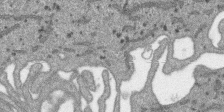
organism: Human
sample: Lung epithelial cells infected with SARS-CoV-2